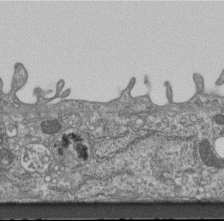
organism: Mouse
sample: Centriole in ependymal cells